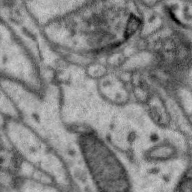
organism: Zebra finch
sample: Brain